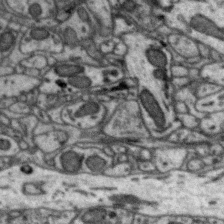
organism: Zebra finch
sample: Brain